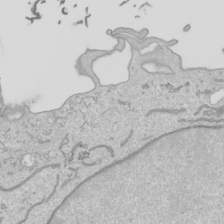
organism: Human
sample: Mitochondria in HCT116 cells